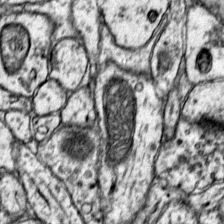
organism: Mouse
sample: Primary visual cortex